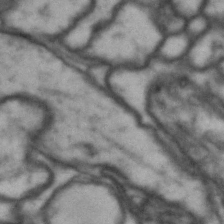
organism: Drosophila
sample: Brain